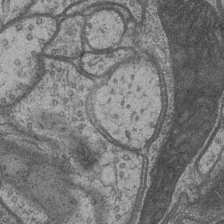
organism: Drosophila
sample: Optic medulla